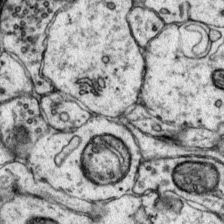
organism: Mouse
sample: Primary visual cortex